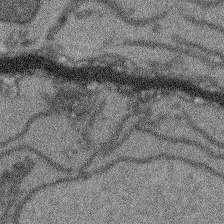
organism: Arabidopsis thaliana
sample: Root tip